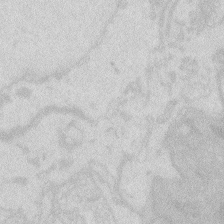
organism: Zebrafish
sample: Macrophage